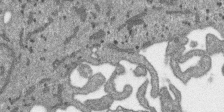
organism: Human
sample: Lung epithelial cells infected with SARS-CoV-2